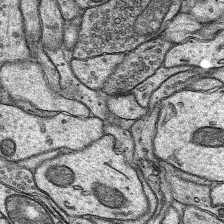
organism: Rat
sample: Hippocampus